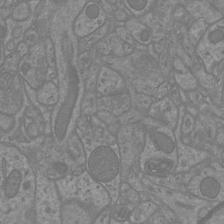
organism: Mouse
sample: Cortical neurons